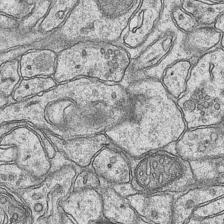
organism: Mouse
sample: CA1 Hippocampus